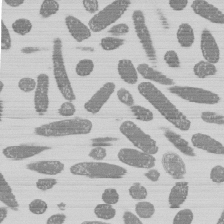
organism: E. coli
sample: Bacterial nucleoid